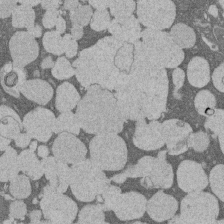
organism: Rat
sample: Salivary granule